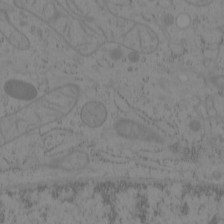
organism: Human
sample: HeLa cells